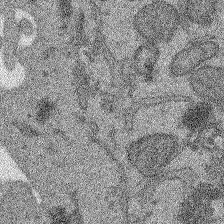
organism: Human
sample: HeLa cells